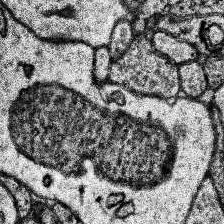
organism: Human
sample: Temporal Lobe